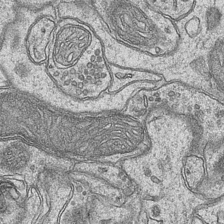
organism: Mouse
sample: CA1 Hippocampus